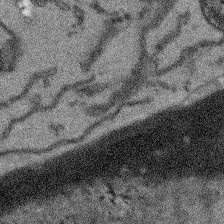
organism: Arabidopsis thaliana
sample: Root tip